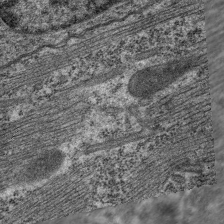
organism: C. elegans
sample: Pharynx